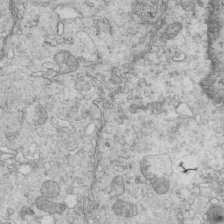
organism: Mouse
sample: Multiciliated cells